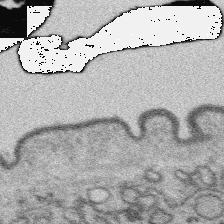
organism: Platynereis dumerilii